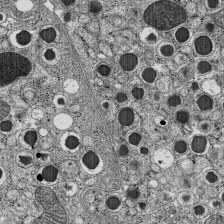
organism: C57BL Mouse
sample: Pancreatic islet